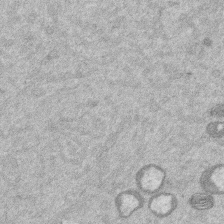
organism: Mouse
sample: Dividing mouse embryo 1 cell stage